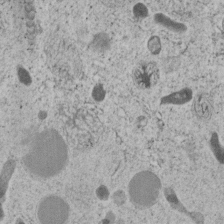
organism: C. elegans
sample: C. elegans embryo early stage